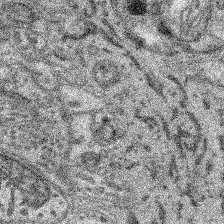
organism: Mouse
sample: Retina